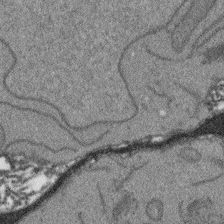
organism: Arabidopsis thaliana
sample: Root tip